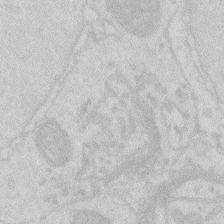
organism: Zebrafish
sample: Macrophage